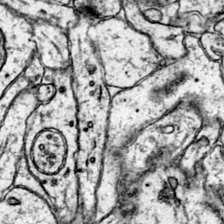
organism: Mouse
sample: Primary visual cortex